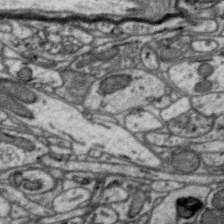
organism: Zebra finch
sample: Brain